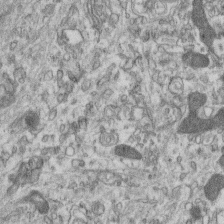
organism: Mouse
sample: Centriole in ependymal cells